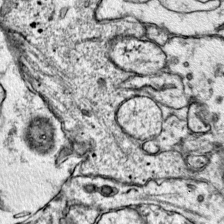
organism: Mouse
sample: Primary visual cortex